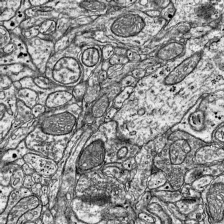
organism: Mouse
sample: Visual Cortex